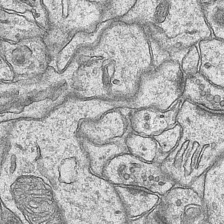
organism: Mouse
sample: CA1 Hippocampus